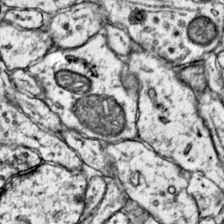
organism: Mouse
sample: Primary visual cortex